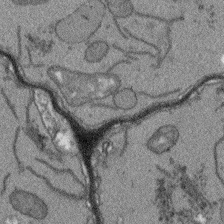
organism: Arabidopsis thaliana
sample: Root tip